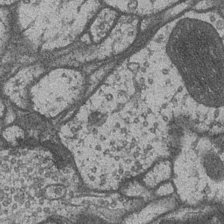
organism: Drosophila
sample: Optic medulla